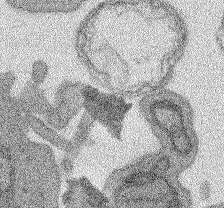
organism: Human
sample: HeLa cells